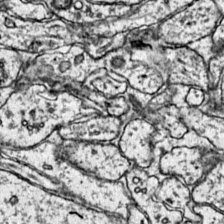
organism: Mouse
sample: Primary visual cortex